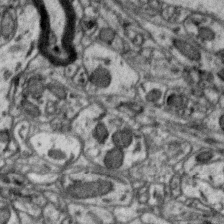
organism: Zebra finch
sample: Brain